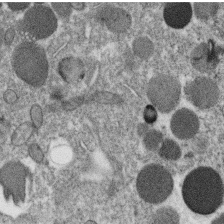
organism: C. elegans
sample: C. elegans oocyte; sperm cells